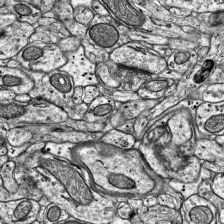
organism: Mouse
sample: Visual Cortex